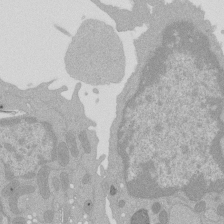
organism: Mouse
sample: Activated Pmel transgenic CD8+ T Cells